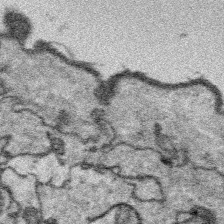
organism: Platynereis dumerilii